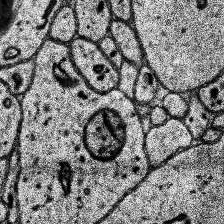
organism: Human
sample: Temporal Lobe